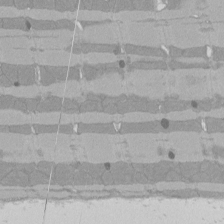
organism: Rat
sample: Left ventricle